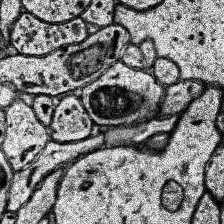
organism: Human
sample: Temporal Lobe